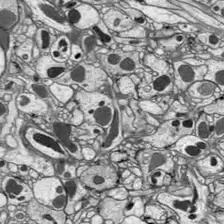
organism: Drosophila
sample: Optic lobe